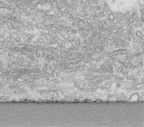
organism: Human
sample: Centriole in fibroblast cells